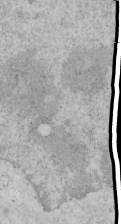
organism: Human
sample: Mitochondria in HCT116 cells